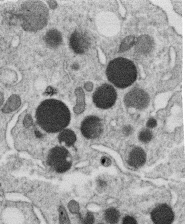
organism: C. elegans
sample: C. elegans oocyte; sperm cells